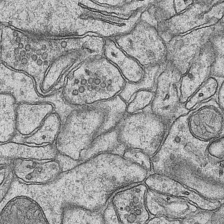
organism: Mouse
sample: CA1 Hippocampus